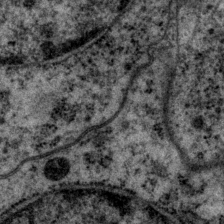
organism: P. pacificus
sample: Pharynx